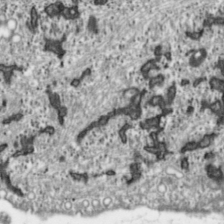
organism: Toxoplasma gondii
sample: Parasites in a vacuole inside a host cell